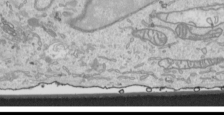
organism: Human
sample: Mitochondria in HCT116 cells